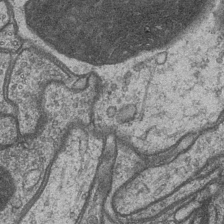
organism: Drosophila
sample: Optic medulla